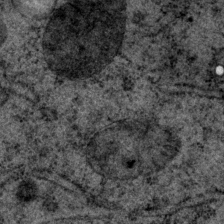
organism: P. pacificus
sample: Pharynx